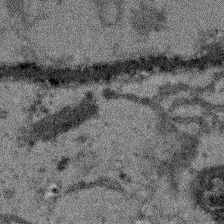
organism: Arabidopsis thaliana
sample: Root tip